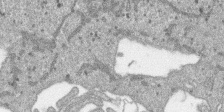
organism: Human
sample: Lung epithelial cells infected with SARS-CoV-2